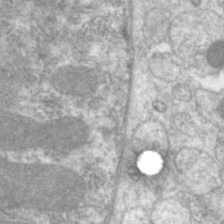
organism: C. elegans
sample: Pharynx